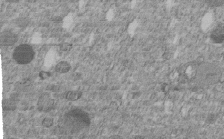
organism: C. elegans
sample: C. elegans embryo early stage